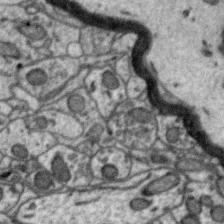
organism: Zebra finch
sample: Brain